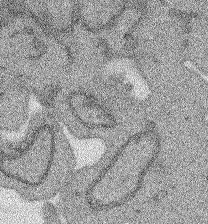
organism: Human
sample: HeLa cells